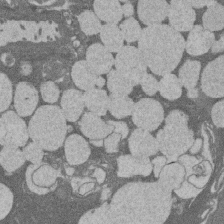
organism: Rat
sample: Salivary granule